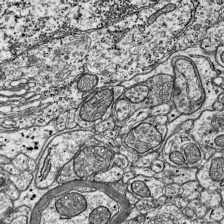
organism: Mouse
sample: Visual Cortex